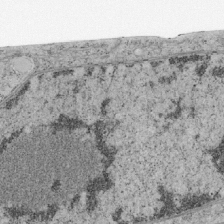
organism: Human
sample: HeLa cells